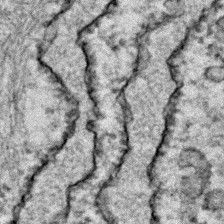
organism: Zebrafish